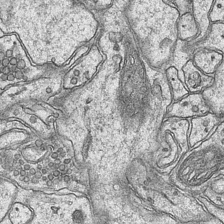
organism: Mouse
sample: CA1 Hippocampus